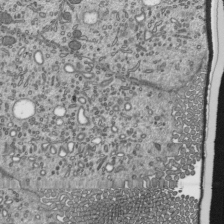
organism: Mouse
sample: Mouse epididymis efferent ductule cilia